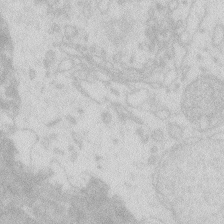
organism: Zebrafish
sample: Macrophage